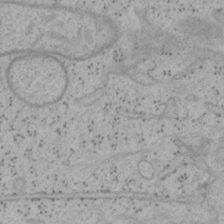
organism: Human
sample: HeLa cells